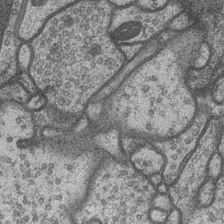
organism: Drosophila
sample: Optic medulla